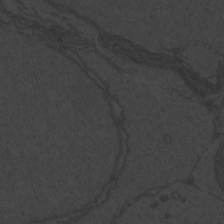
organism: Zebrafish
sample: Macrophage infected with Toxoplasma gondii